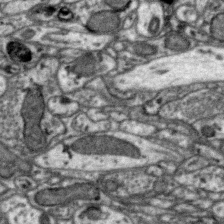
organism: Zebra finch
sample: Brain